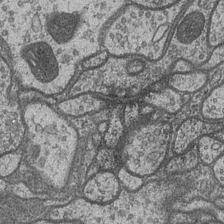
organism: Drosophila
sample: Optic medulla